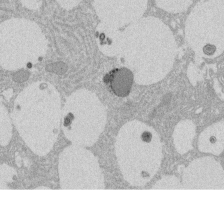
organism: Rat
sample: Salivary granule